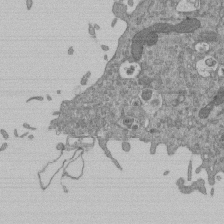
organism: Mouse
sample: ED-1 cell nuclei; centrioles